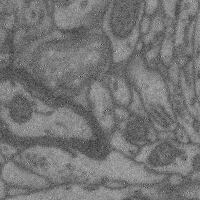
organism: Mouse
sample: Cerebral cortex